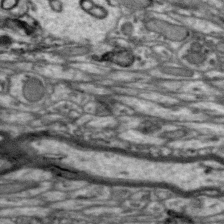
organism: Zebra finch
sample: Brain